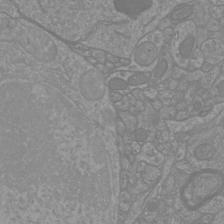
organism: Mouse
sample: Cortical neurons